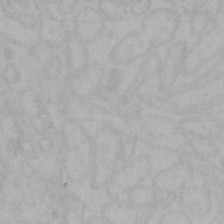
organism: Mouse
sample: Choroid plexus